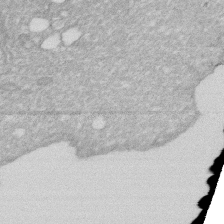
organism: Human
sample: HIV infected U937 cells